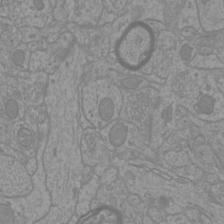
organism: Mouse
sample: Cortical neurons